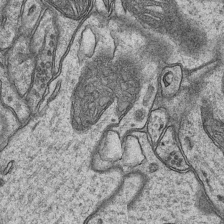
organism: Mouse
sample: CA1 Hippocampus